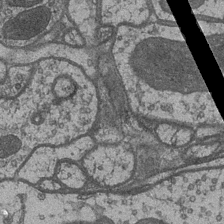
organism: Drosophila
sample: Optic medulla